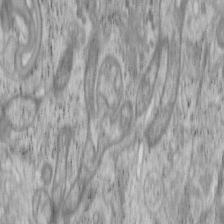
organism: Human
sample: HeLa cells